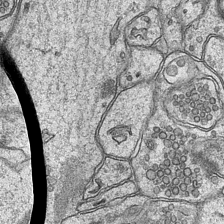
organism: Mouse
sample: CA1 Hippocampus